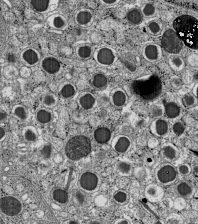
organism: C57BL Mouse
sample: Pancreatic islet